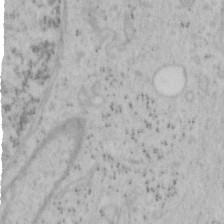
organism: Human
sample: HeLa cells